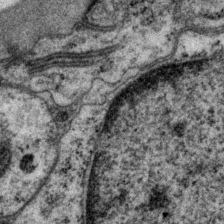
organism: P. pacificus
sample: Pharynx